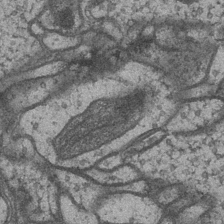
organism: Drosophila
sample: Optic medulla